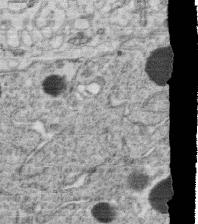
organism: C. elegans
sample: C. elegans oocyte; sperm cells